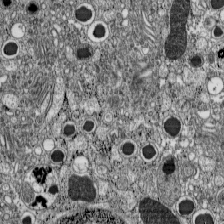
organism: C57BL Mouse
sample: Pancreatic islet